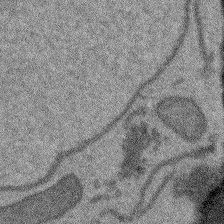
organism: Arabidopsis thaliana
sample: Root tip